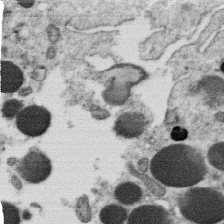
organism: C. elegans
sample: C. elegans oocyte; sperm cells